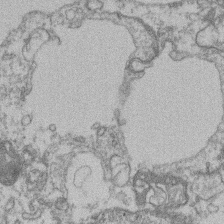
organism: Mouse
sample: T cell stromal cell synapse